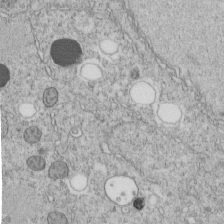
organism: C. elegans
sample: C. elegans embryo early stage